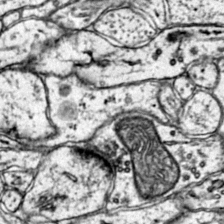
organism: Mouse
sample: Primary visual cortex